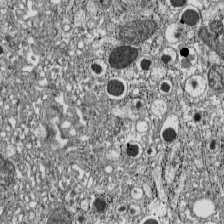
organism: C57BL Mouse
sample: Pancreatic islet